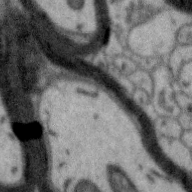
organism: Zebra finch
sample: Brain